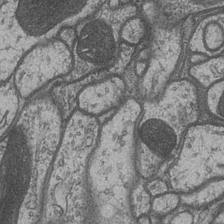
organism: Drosophila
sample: Optic medulla